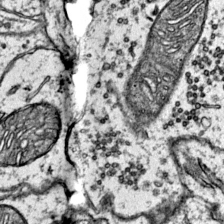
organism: Mouse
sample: Primary visual cortex